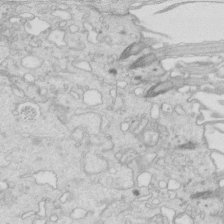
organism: Mouse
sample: Multiciliated cells